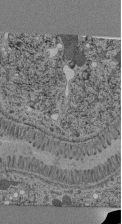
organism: C. elegans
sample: C. elegans pharynx